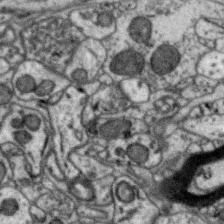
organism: Zebra finch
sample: Brain